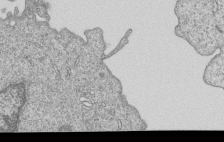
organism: Human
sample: MDA-MB-231 cells